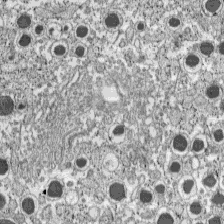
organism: C57BL Mouse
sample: Pancreatic islet